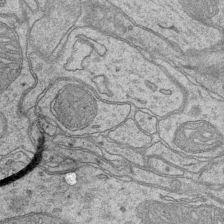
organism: Mouse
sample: CA1 Hippocampus